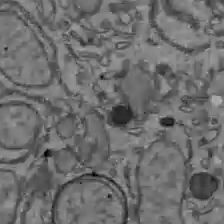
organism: C57BL Mouse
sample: Liver